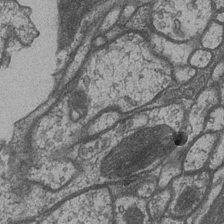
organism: Drosophila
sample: Optic medulla